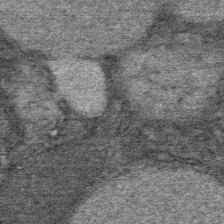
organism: Mouse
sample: Mouse Salivary gland